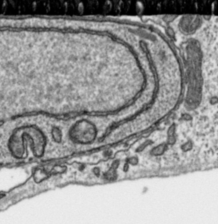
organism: Toxoplasma gondii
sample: Parasites in a vacuole inside a host cell